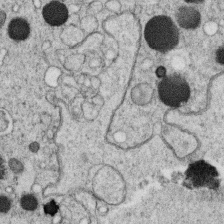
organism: C. elegans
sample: C. elegans oocyte; sperm cells